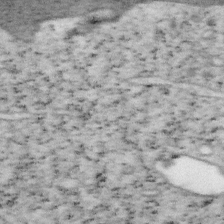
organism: Mouse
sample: OT-I killer T cells with ID8 ovarian cancer cells